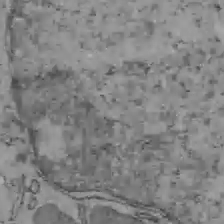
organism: C57BL Mouse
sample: Liver